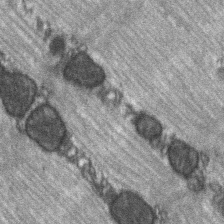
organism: C57BL Mouse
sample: Soleus